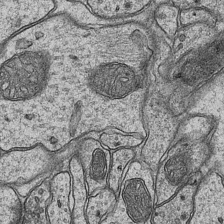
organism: Mouse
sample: CA1 Hippocampus